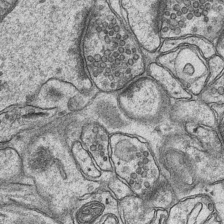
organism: Mouse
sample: CA1 Hippocampus